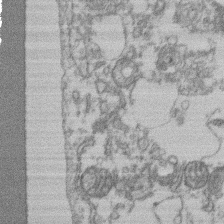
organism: Mouse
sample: T cell stromal cell synapse